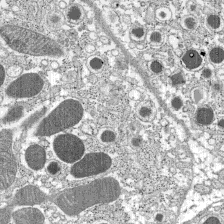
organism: C57BL Mouse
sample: Pancreatic islet